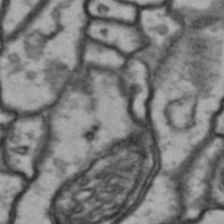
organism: Drosophila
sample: Brain